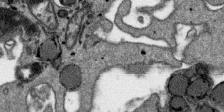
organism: Human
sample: Lung epithelial cells, uninfected (mock) control